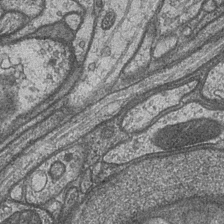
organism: Drosophila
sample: Optic medulla